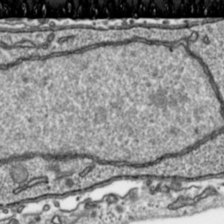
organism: Toxoplasma gondii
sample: Parasites in a vacuole inside a host cell